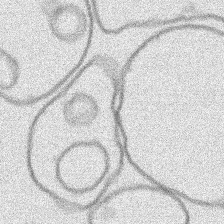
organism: Human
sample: Mitochondria in HCT116 cells